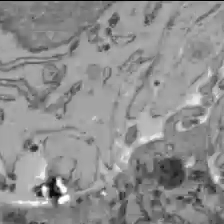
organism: C57BL Mouse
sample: Liver